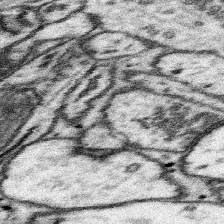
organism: Mouse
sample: Somatosensory cortex neuropil